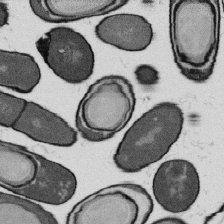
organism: B. subtilis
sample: Bacterial spore